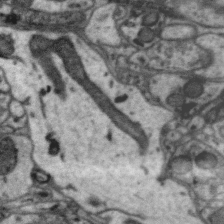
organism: Zebra finch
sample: Brain